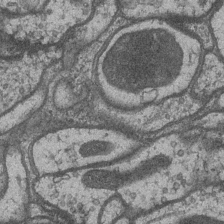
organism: Drosophila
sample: Optic medulla